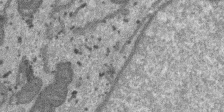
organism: Human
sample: Lung epithelial cells infected with SARS-CoV-2